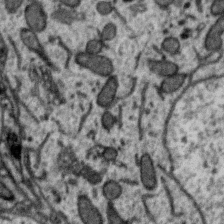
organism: Zebra finch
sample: Brain